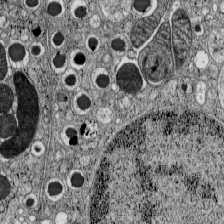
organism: C57BL Mouse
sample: Pancreatic islet